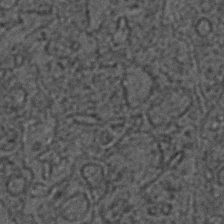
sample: Trachea